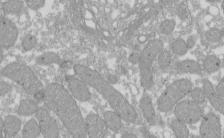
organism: Xenopus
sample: Cilia; centrioles in frog embryo cells